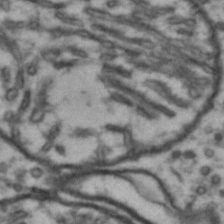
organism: Drosophila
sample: Brain